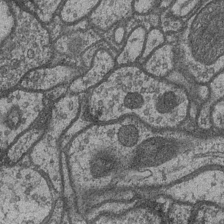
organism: Drosophila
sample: Optic medulla